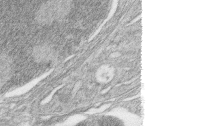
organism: Zebrafish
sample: synaptic ribbons in rod cells and cone cells